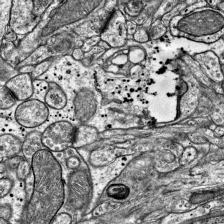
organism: Mouse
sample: Visual Cortex